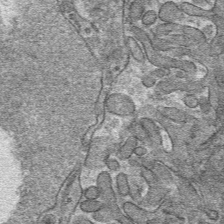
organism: Mouse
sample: Mouse hepatocytes